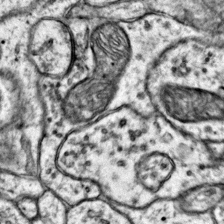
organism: Mouse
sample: Primary visual cortex